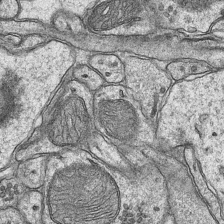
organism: Mouse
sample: CA1 Hippocampus